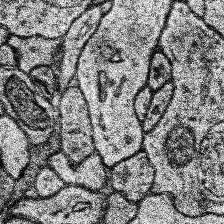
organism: Human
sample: Temporal Lobe